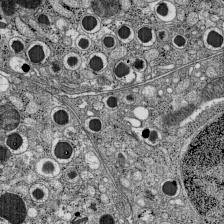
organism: C57BL Mouse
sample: Pancreatic islet